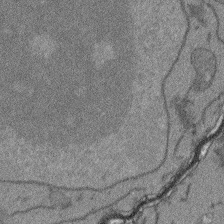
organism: Arabidopsis thaliana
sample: Root tip